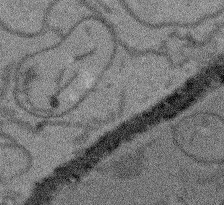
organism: Arabidopsis thaliana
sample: Root tip